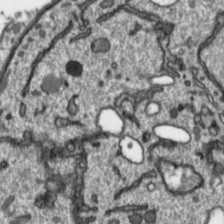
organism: Toxoplasma gondii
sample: Parasites in a vacuole inside a host cell